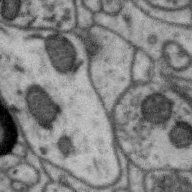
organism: Zebra finch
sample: Brain